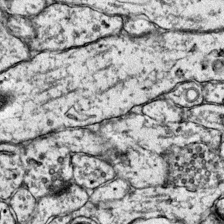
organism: Mouse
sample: Primary visual cortex